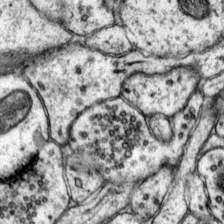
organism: Mouse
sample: Primary visual cortex